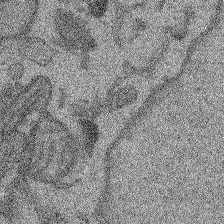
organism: Human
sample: HeLa cells